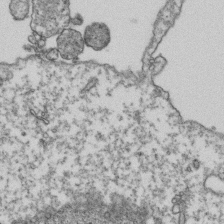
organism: Human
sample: Activated Jurkat CD4+ T cells